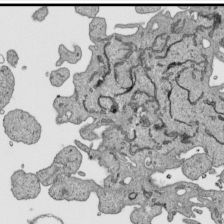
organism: Human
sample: Mitochondria in HCT116 cells